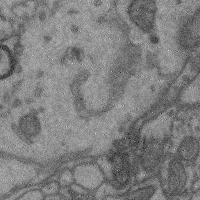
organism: Mouse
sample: Cerebral cortex